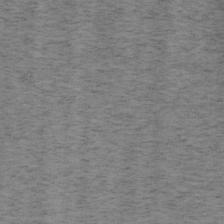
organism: Mouse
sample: OT-I killer T cells with ID8 ovarian cancer cells